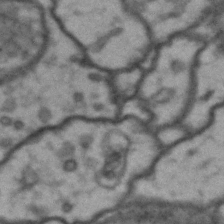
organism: Drosophila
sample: Brain